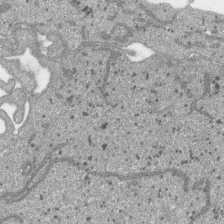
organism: Human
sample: Lung epithelial cells infected with SARS-CoV-2